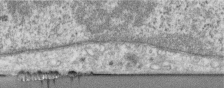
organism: Human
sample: Centriole in RPE cells